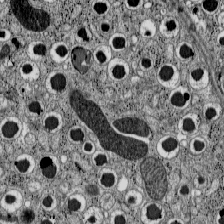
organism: C57BL Mouse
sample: Pancreatic islet